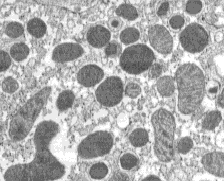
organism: C57BL Mouse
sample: Pancreatic islet